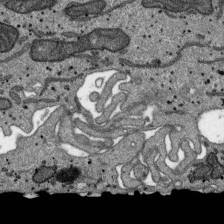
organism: Human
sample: Lung epithelial cells, uninfected (mock) control